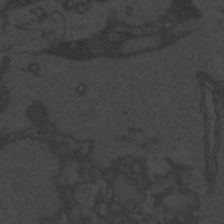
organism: Zebrafish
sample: Macrophage infected with Toxoplasma gondii